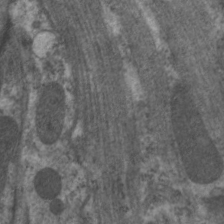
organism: C. elegans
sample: Pharynx